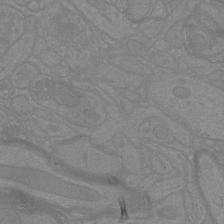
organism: Mouse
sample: Cortical neurons